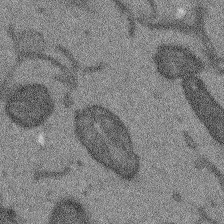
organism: Arabidopsis thaliana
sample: Root tip